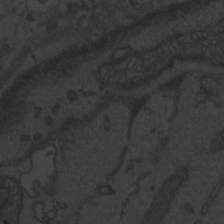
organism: Zebrafish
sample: Macrophage infected with Toxoplasma gondii